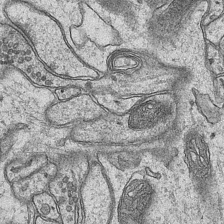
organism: Mouse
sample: CA1 Hippocampus